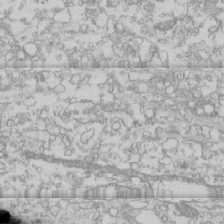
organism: Human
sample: CRL-1474